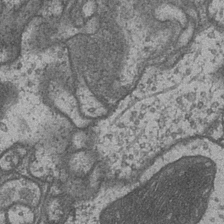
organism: Drosophila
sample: Optic medulla